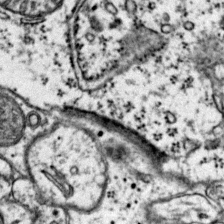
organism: Mouse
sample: Primary visual cortex